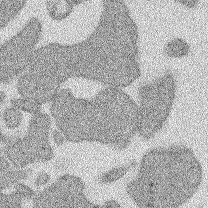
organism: Human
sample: HeLa cells